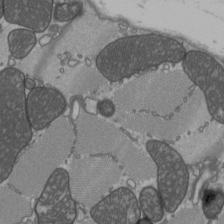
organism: C57BL Mouse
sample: Heart